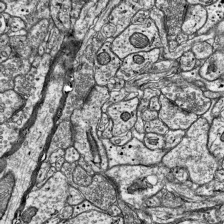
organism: Mouse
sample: Visual Cortex